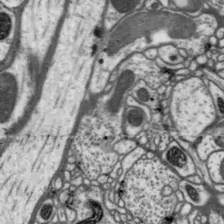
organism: Drosophila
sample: Protocerebral bridge